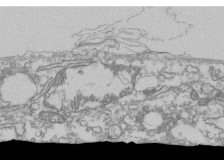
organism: Human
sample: Fibroblast cells